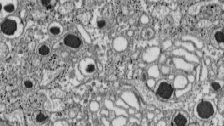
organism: C57BL Mouse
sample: Pancreatic islet